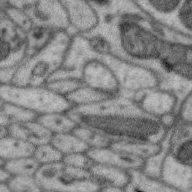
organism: Zebra finch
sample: Brain